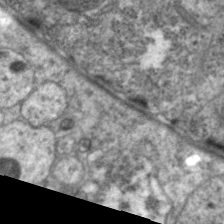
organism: C. elegans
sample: Pharynx